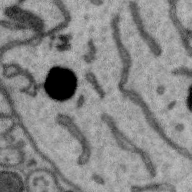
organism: Zebra finch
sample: Brain